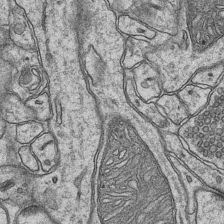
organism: Mouse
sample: CA1 Hippocampus